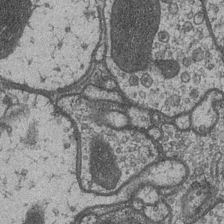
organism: Drosophila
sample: Optic medulla